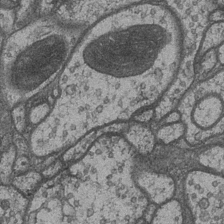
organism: Drosophila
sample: Optic medulla